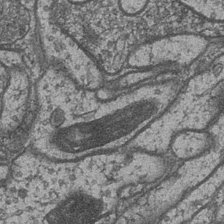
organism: Drosophila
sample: Optic medulla